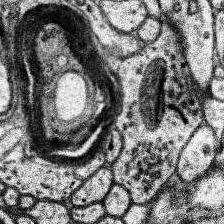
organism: Human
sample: Temporal Lobe